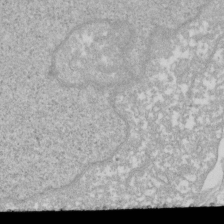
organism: Xenopus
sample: Cilia; centrioles in frog embryo cells